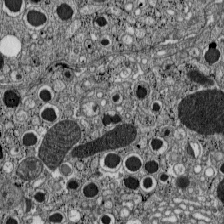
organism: C57BL Mouse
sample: Pancreatic islet